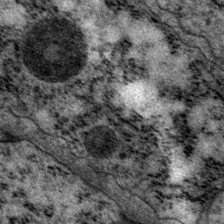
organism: P. pacificus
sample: Pharynx